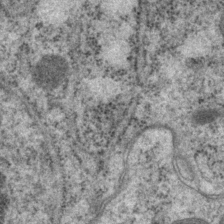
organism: P. pacificus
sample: Pharynx